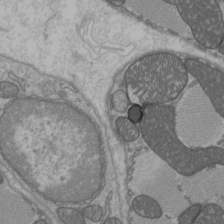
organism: C57BL Mouse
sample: Heart